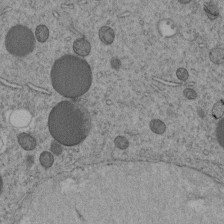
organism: C. elegans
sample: C. elegans embryo early stage